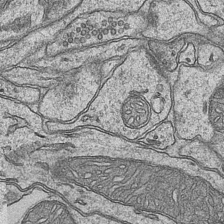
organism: Mouse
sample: CA1 Hippocampus